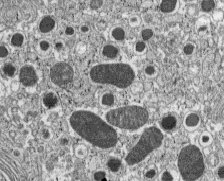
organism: C57BL Mouse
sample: Pancreatic islet